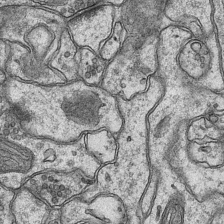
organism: Mouse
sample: CA1 Hippocampus